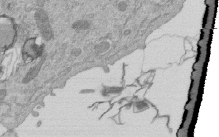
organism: Mouse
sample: ED-1 cell nuclei; centrioles